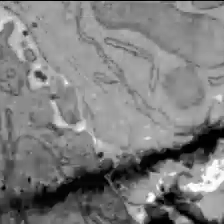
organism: C57BL Mouse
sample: Liver